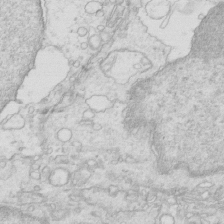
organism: Mouse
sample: Multiciliated cells